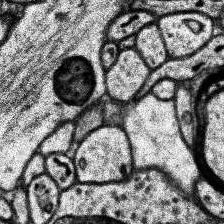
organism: Human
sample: Temporal Lobe